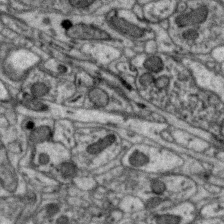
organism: Zebra finch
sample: Brain